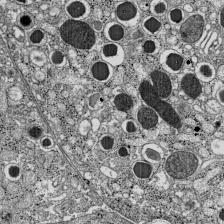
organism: C57BL Mouse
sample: Pancreatic islet